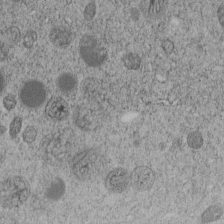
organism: C. elegans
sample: C. elegans embryo early stage